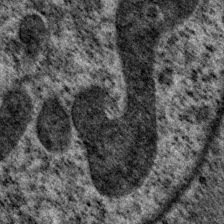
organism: P. pacificus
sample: Pharynx